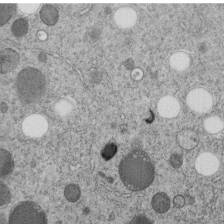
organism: C. elegans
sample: C. elegans embryo early stage